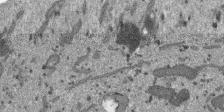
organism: Human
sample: Lung epithelial cells infected with SARS-CoV-2